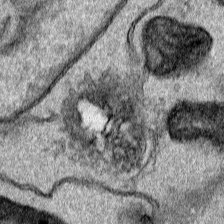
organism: Human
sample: Mitochondria in HCT116 cells